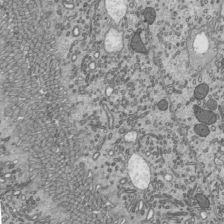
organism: Mouse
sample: Mouse epididymis efferent ductule cilia